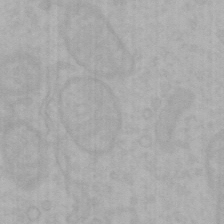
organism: Mouse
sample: Choroid plexus